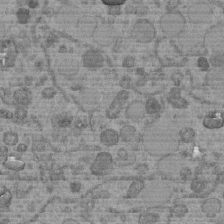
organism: C. elegans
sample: C. elegans embryo early stage